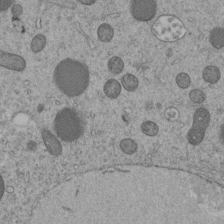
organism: C. elegans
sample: C. elegans embryo early stage